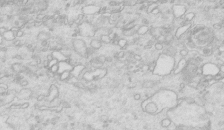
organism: Mouse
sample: Multiciliated cells